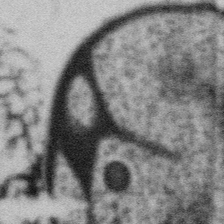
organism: Gemmata obscuriglobus